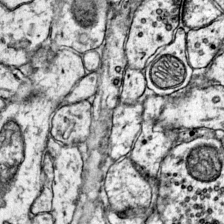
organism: Mouse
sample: Primary visual cortex